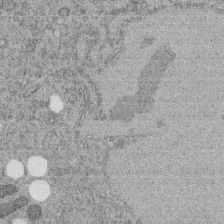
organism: C. elegans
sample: C. elegans embryo early stage